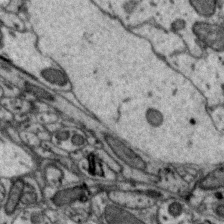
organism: Zebra finch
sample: Brain